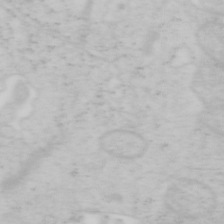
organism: Mouse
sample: OT-I killer T cells with ID8 ovarian cancer cells